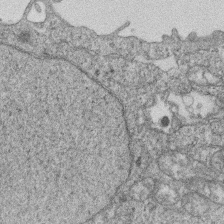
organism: Human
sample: HeLa cell HIV synapse